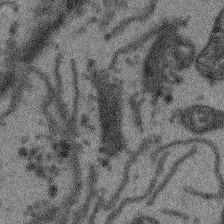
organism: Arabidopsis thaliana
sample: Root tip